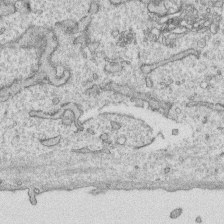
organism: Human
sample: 1205lu cells